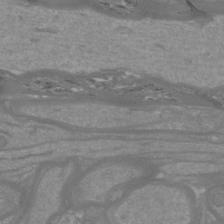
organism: Mouse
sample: Cortical neurons